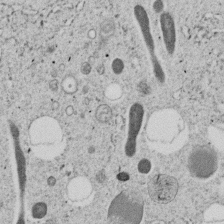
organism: C. elegans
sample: C. elegans embryo early stage